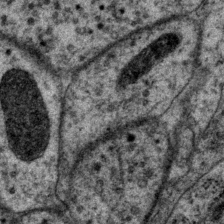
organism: P. pacificus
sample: Pharynx